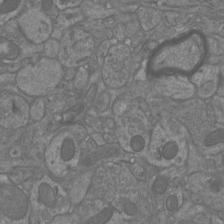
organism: Mouse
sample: Cortical neurons